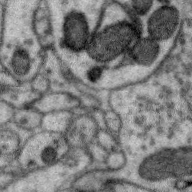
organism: Zebra finch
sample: Brain